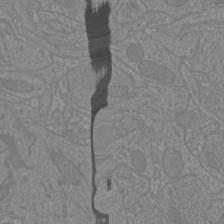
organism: Mouse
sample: Cortical neurons